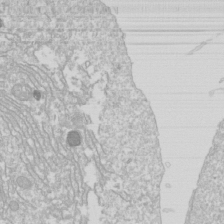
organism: Drosophila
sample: Cell division; meiosis; drosophila spermatocytes